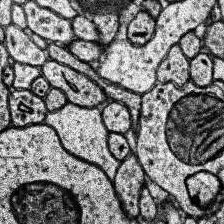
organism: Human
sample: Temporal Lobe